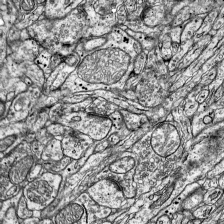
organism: Mouse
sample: Visual Cortex